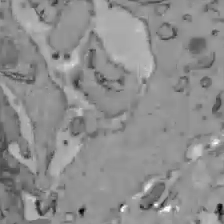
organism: C57BL Mouse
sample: Liver